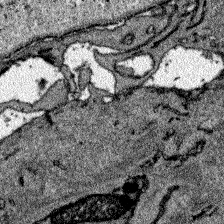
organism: Zebrafish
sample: Larval olfactory bulb